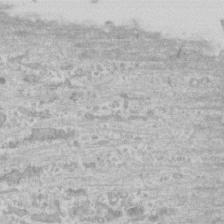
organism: Human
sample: CRL-1474